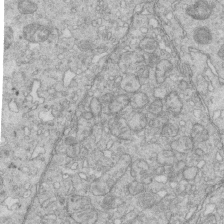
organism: Mouse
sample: Multiciliated cells